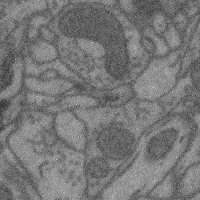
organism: Mouse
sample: Cerebral cortex